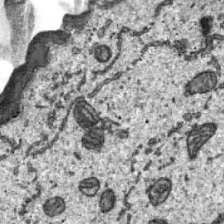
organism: Human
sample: HeLa cells